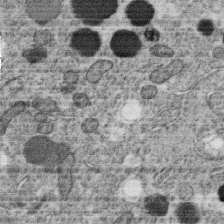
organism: C. elegans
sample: C. elegans oocyte; sperm cells